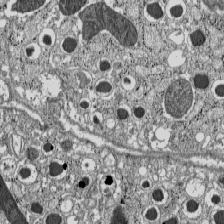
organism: C57BL Mouse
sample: Pancreatic islet